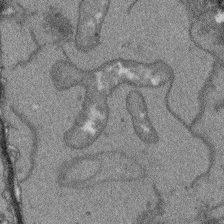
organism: Arabidopsis thaliana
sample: Root tip